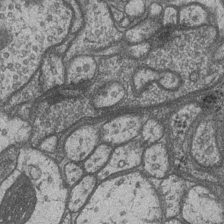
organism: Drosophila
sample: Optic medulla